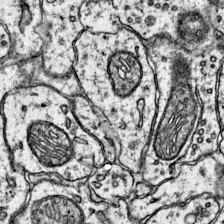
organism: Mouse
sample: Primary visual cortex